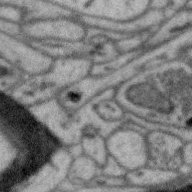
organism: Zebra finch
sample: Brain